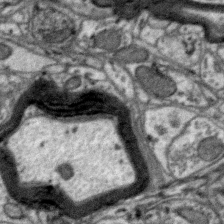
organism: Zebra finch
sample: Brain